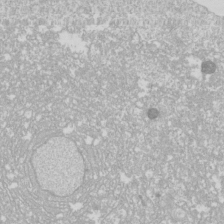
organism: Drosophila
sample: Cell division; meiosis; drosophila spermatocytes